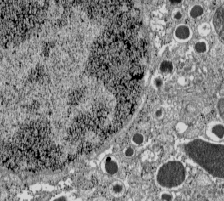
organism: C57BL Mouse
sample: Pancreatic islet